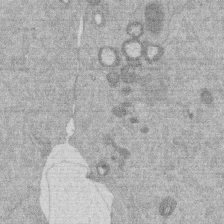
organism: Mouse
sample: Dividing mouse embryo 1 cell stage